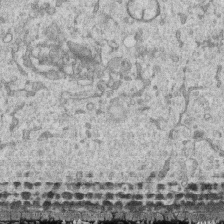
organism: Human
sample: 1205lu cells